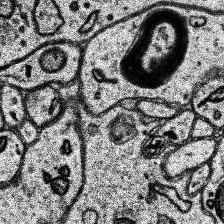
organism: Human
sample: Temporal Lobe